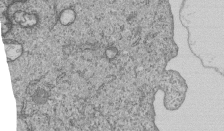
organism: Human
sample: MDA-MB-231 cells